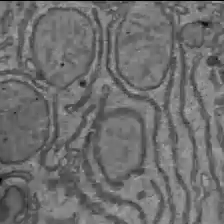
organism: C57BL Mouse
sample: Liver